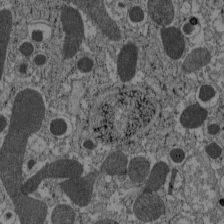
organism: C57BL Mouse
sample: Pancreatic islet